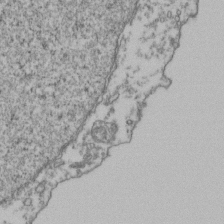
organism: Human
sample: Activated Jurkat CD4+ T cells